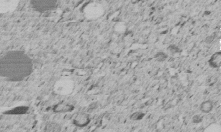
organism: C. elegans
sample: C. elegans embryo early stage